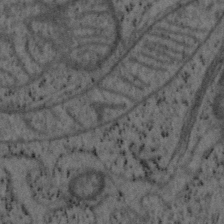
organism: Human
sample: HeLa cells